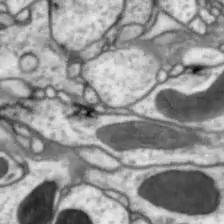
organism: Drosophila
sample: Optic lobe